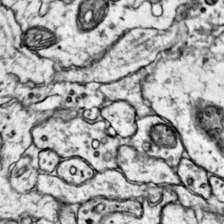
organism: Mouse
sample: Primary visual cortex